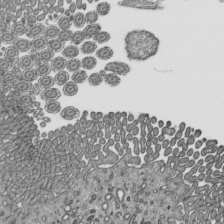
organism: Mouse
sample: Mouse epididymis efferent ductule cilia